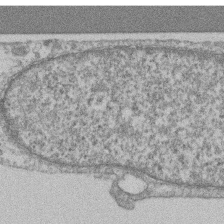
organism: Mouse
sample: T cell stromal cell synapse